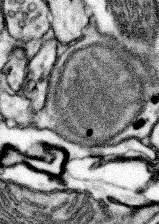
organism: Mouse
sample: Somatosensory cortex neuropil